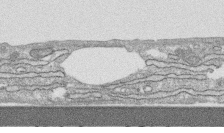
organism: Human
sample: CRL-1474